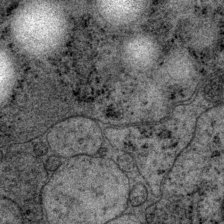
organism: P. pacificus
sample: Pharynx